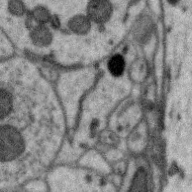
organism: Zebra finch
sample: Brain